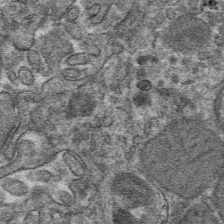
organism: Mouse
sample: Mouse hepatocytes